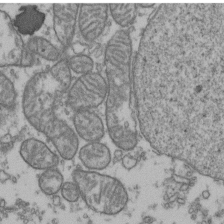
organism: Human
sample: Activated Jurkat CD4+ T cells